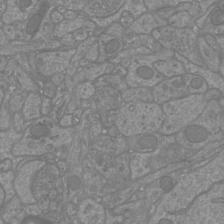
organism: Mouse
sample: Cortical neurons